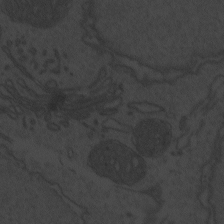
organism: Zebrafish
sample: Macrophage infected with Toxoplasma gondii